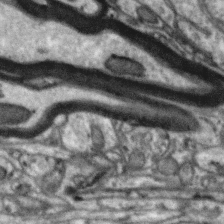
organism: Zebra finch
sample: Brain